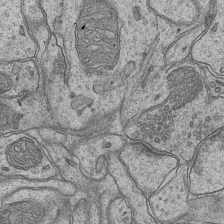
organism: Mouse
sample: CA1 Hippocampus